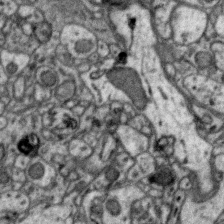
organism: Zebra finch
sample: Brain